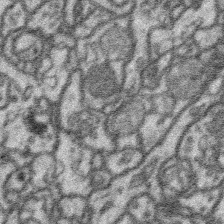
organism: Platynereis dumerilii